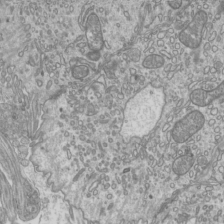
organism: Mouse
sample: Cilia; mouse epididymis